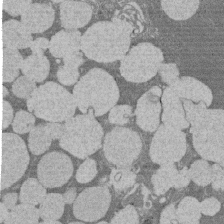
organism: Rat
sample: Salivary granule